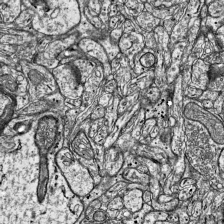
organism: Mouse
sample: Visual Cortex